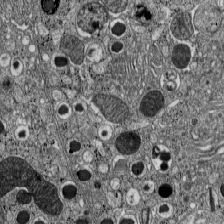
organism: C57BL Mouse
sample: Pancreatic islet